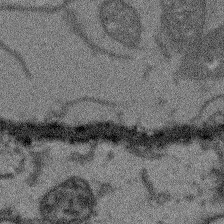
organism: Arabidopsis thaliana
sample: Root tip